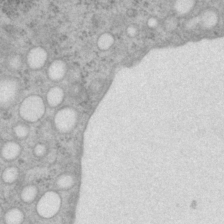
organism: P. pacificus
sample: Pharynx